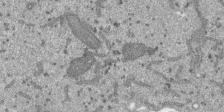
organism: Human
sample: Lung epithelial cells infected with SARS-CoV-2